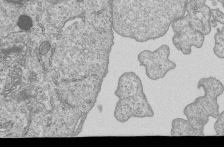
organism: Human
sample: MDA-MB-231 cells